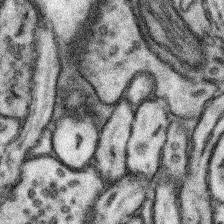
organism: Mouse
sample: Somatosensory cortex neuropil